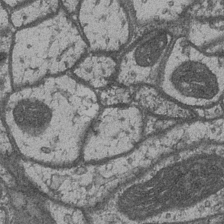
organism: Drosophila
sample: Optic medulla